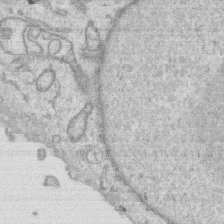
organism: Human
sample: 1205lu cells